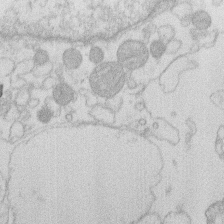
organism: Human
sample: Macrophage cells